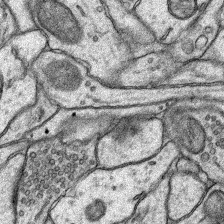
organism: Rat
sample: Hippocampus